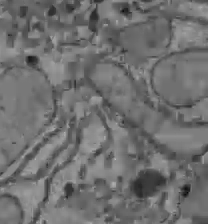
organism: C57BL Mouse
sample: Liver